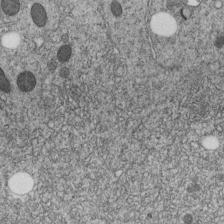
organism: C. elegans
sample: C. elegans embryo early stage